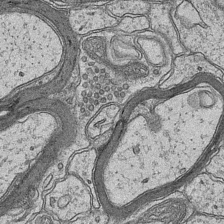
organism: Mouse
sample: CA1 Hippocampus